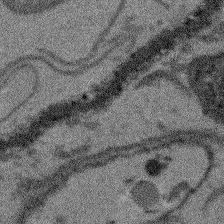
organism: Arabidopsis thaliana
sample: Root tip